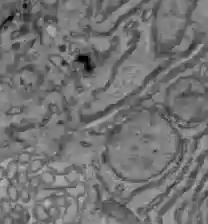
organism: C57BL Mouse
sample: Liver